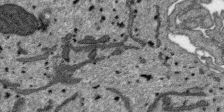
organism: Human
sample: Lung epithelial cells, uninfected (mock) control